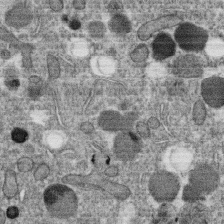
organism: C. elegans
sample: C. elegans oocyte; sperm cells